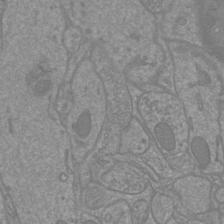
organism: Mouse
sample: Cortical neurons